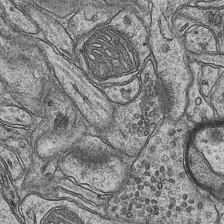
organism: Mouse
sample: CA1 Hippocampus